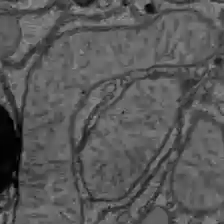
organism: C57BL Mouse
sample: Liver